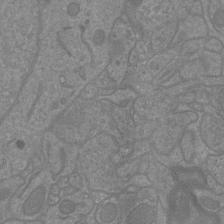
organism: Mouse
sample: Cortical neurons